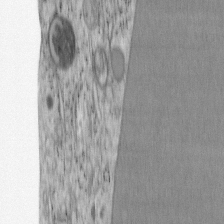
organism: Human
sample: HeLa cells